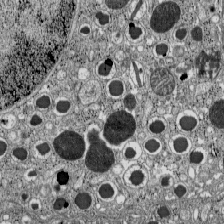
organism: C57BL Mouse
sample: Pancreatic islet